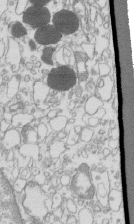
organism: Mouse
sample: Macrophages